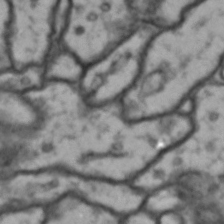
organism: Drosophila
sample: Brain